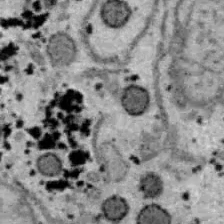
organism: Mouse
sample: Liver from an obese (ob/ob) mouse